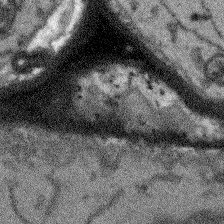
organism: Arabidopsis thaliana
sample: Root tip